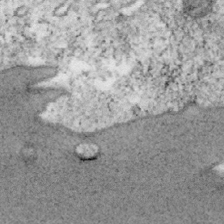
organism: Mouse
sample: OT-I killer T cells with ID8 ovarian cancer cells